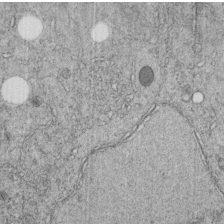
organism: C. elegans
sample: C. elegans embryo early stage